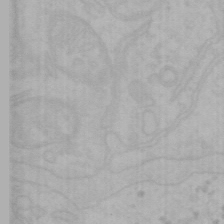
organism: Mouse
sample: Choroid plexus